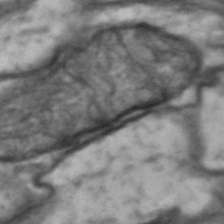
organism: Drosophila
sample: Brain